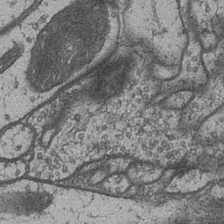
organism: Drosophila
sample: Optic medulla